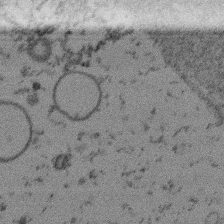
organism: Mouse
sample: Dividing mouse embryo 1 cell stage